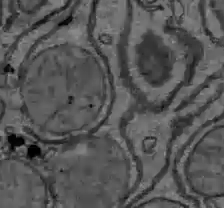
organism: C57BL Mouse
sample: Liver